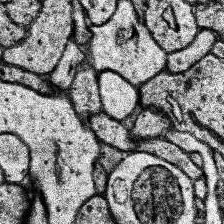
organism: Human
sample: Temporal Lobe